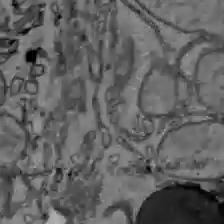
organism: C57BL Mouse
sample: Liver